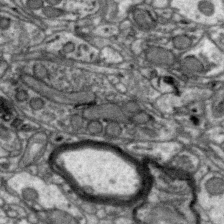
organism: Zebra finch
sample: Brain